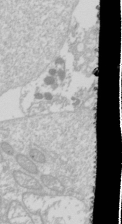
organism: Drosophila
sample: Cell division; meiosis; drosophila spermatocytes